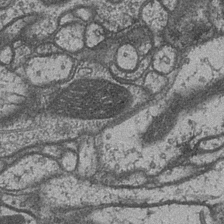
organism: Drosophila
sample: Optic medulla